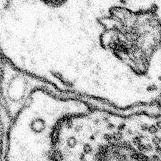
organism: Mouse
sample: Somatosensory cortex neuropil